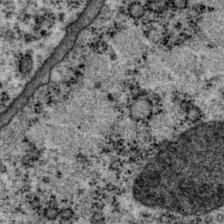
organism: P. pacificus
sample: Pharynx